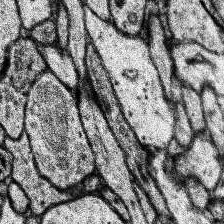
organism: Human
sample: Temporal Lobe